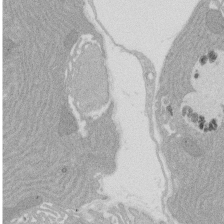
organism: Rat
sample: Salivary granule